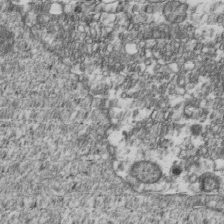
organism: Human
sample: Activated Jurkat CD4+ T cells